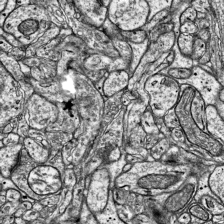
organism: Mouse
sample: Visual Cortex